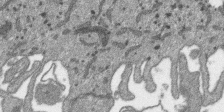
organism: Human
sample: Lung epithelial cells infected with SARS-CoV-2